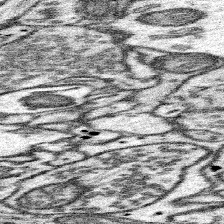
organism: Mouse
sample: Somatosensory cortex neuropil